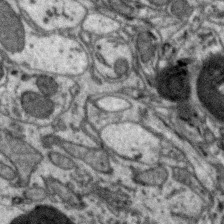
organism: Zebra finch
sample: Brain